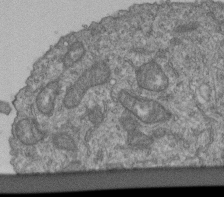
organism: Human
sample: Retinal organoid Rod and Cone cells